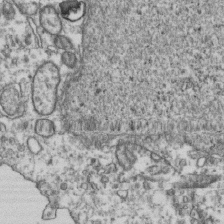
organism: Human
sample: Activated Jurkat CD4+ T cells